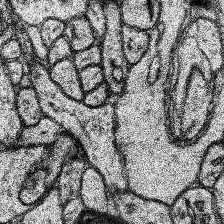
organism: Human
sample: Temporal Lobe